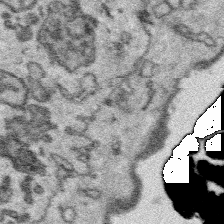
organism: Platynereis dumerilii